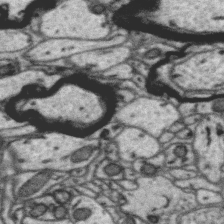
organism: Zebra finch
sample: Brain